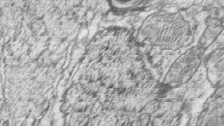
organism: Zebrafish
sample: synaptic ribbons in rod cells and cone cells